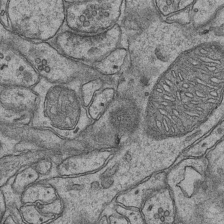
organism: Mouse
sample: CA1 Hippocampus